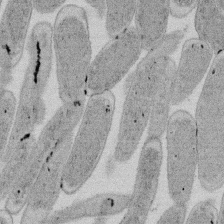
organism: E. coli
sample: Bacterial nucleoid